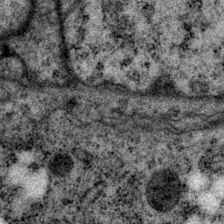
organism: P. pacificus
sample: Pharynx